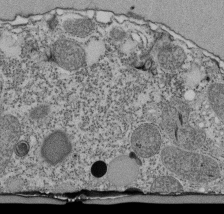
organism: Tetrahymena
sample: Cilia in tetrahymena